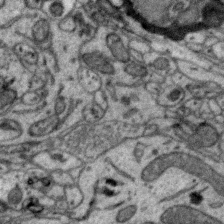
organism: Zebra finch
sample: Brain